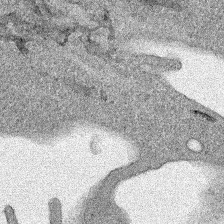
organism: Human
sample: Mitochondria in HCT116 cells